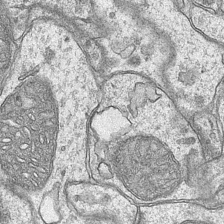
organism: Mouse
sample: CA1 Hippocampus